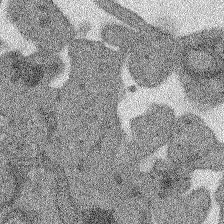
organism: Human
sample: HeLa cells